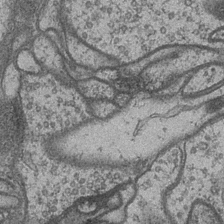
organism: Drosophila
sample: Optic medulla